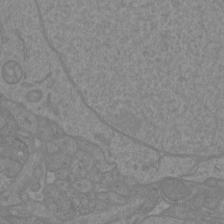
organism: Mouse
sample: Cortical neurons